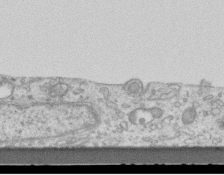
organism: Mouse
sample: Centriole in ependymal cells